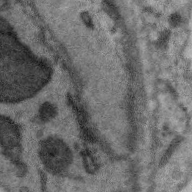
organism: Zebra finch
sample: Brain